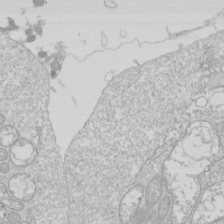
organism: Drosophila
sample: Cell division; meiosis; drosophila spermatocytes